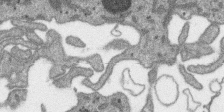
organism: Human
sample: Lung epithelial cells infected with SARS-CoV-2